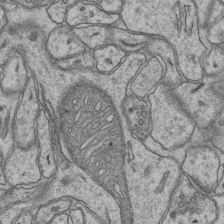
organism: Mouse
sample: CA1 Hippocampus